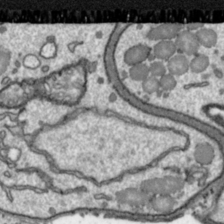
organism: Toxoplasma gondii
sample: Parasites in a vacuole inside a host cell